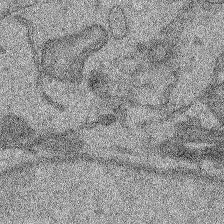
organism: Human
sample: HeLa cells